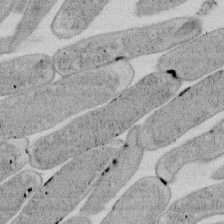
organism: E. coli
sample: Bacterial nucleoid